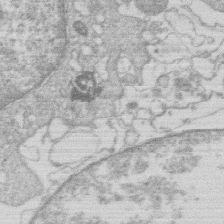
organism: Human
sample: Macrophage cells